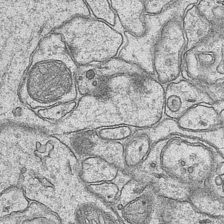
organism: Mouse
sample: CA1 Hippocampus